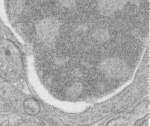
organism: Zebrafish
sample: synaptic ribbons in rod cells and cone cells